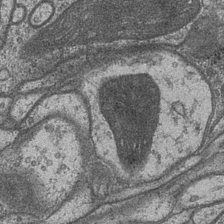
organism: Drosophila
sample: Optic medulla